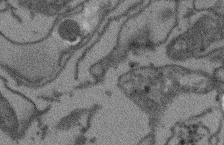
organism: Arabidopsis thaliana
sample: Root tip